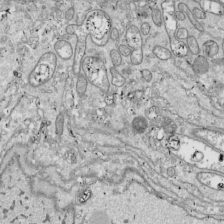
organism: Drosophila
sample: Cell division; meiosis; drosophila spermatocytes